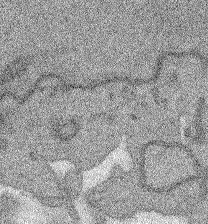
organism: Human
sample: HeLa cells